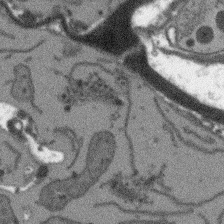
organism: Arabidopsis thaliana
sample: Root tip